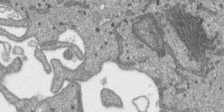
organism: Human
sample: Lung epithelial cells infected with SARS-CoV-2